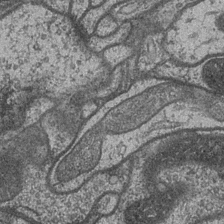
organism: Drosophila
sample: Optic medulla